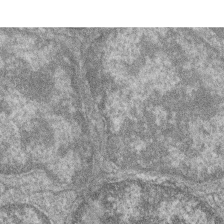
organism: Zebrafish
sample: Cilia; retinal pigment epithelium